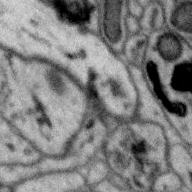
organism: Zebra finch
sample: Brain